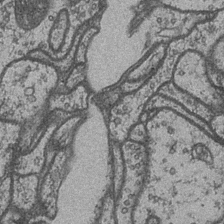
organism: Drosophila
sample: Optic medulla